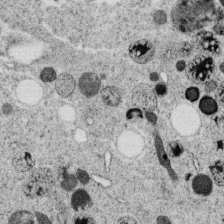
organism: C. elegans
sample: C. elegans oocyte; sperm cells